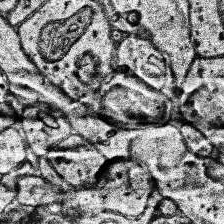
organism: Human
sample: Temporal Lobe